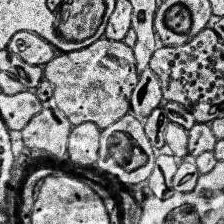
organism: Human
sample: Temporal Lobe